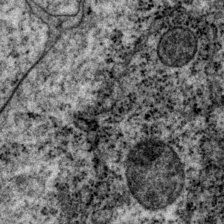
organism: P. pacificus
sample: Pharynx